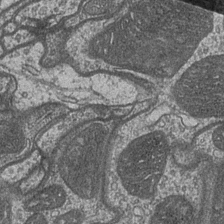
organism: Drosophila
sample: Optic medulla